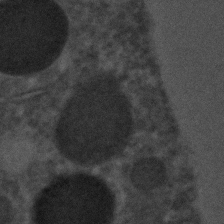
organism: C. elegans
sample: C. elegans embryo